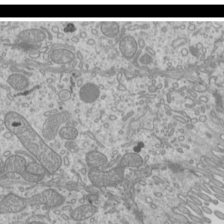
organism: Mouse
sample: Cilia; mouse epididymis